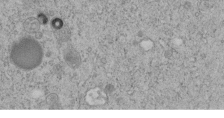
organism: C. elegans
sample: C. elegans embryo early stage